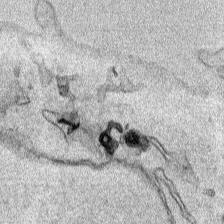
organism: Human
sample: Mitochondria in HCT116 cells